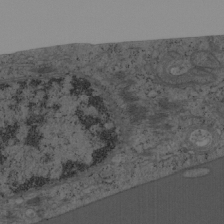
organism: Human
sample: HeLa cells